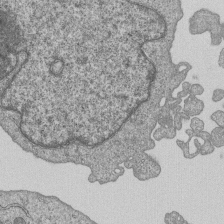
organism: Human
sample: MDA-MB-231 cells